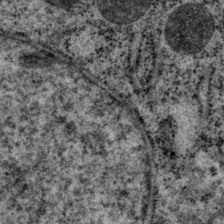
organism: P. pacificus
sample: Pharynx